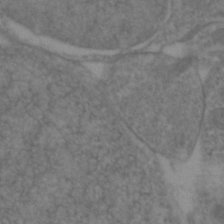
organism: Zebrafish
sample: Zebrafish embryo